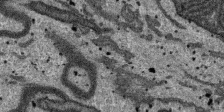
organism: Human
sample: Lung epithelial cells, uninfected (mock) control